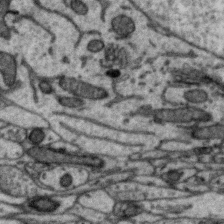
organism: Zebra finch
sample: Brain